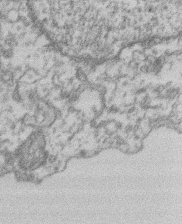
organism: Mouse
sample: T cell stromal cell synapse